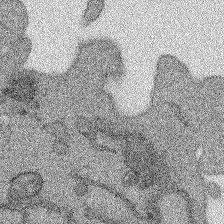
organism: Human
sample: HeLa cells